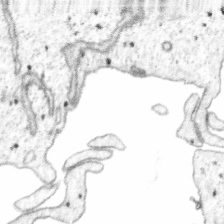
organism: Human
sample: HeLa cells